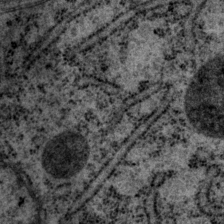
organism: P. pacificus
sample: Pharynx